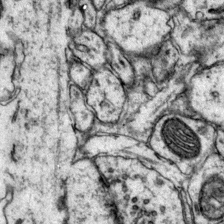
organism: Mouse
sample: Primary visual cortex